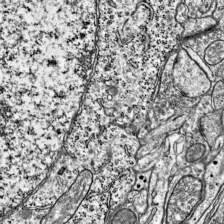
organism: Mouse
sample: Visual Cortex